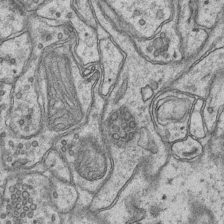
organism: Mouse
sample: CA1 Hippocampus